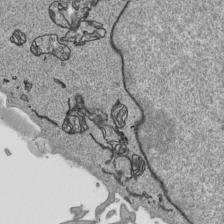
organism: Human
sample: Mitochondria in HCT116 cells